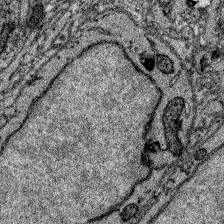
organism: Zebrafish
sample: Larval olfactory bulb